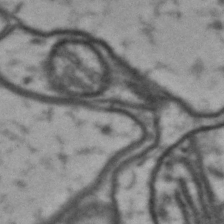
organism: Drosophila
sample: Brain